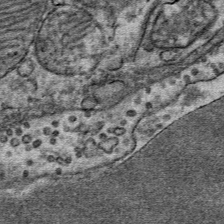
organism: Mouse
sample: Mouse Salivary gland